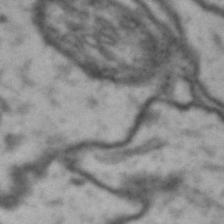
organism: Drosophila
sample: Brain